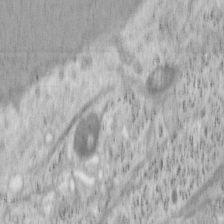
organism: Human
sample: HeLa cells